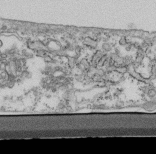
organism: Mouse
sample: Cilia; retinal pigment epithelium